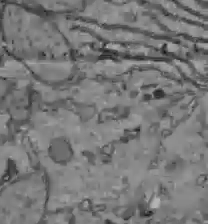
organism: C57BL Mouse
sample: Liver